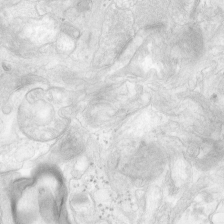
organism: Human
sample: Neocortex